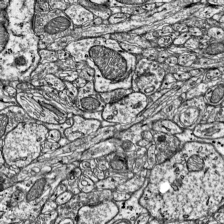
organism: Mouse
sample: Visual Cortex